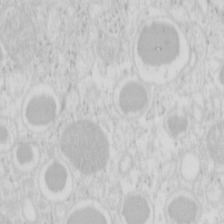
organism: Mouse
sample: Pancreas